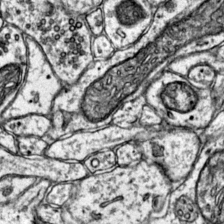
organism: Mouse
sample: Primary visual cortex